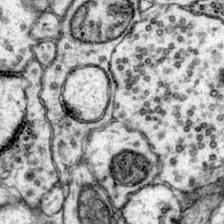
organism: Mouse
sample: Primary visual cortex